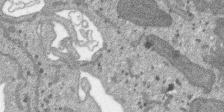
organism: Human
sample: Lung epithelial cells infected with SARS-CoV-2